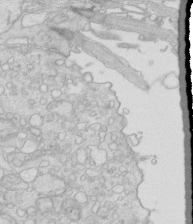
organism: Mouse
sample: Multiciliated cells